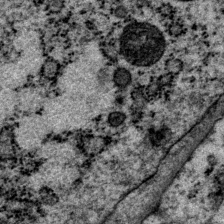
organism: P. pacificus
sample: Pharynx